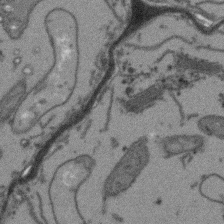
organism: Arabidopsis thaliana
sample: Root tip